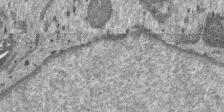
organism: Human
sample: Lung epithelial cells infected with SARS-CoV-2